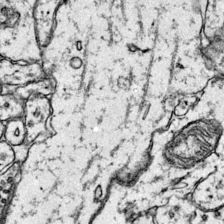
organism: Mouse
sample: Primary visual cortex